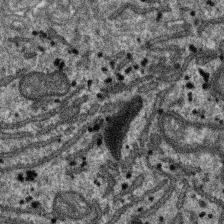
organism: Human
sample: Lung epithelial cells infected with SARS-CoV-2